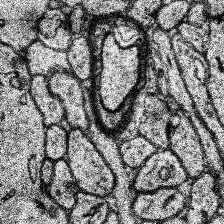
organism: Human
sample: Temporal Lobe